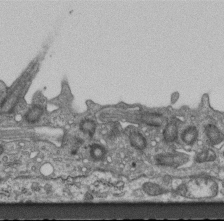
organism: Mouse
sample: Centriole in ependymal cells